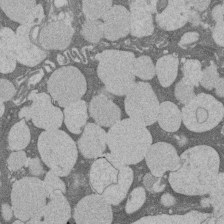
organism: Rat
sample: Salivary granule